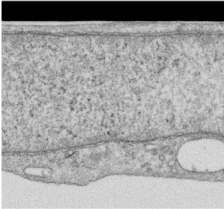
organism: Human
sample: Centriole in RPE cells